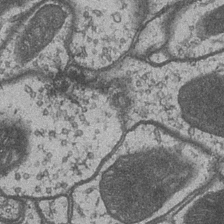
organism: Drosophila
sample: Optic medulla